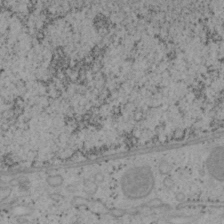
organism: Human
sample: HeLa cells